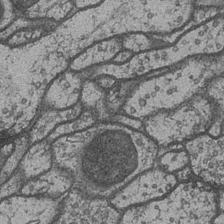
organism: Drosophila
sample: Optic medulla